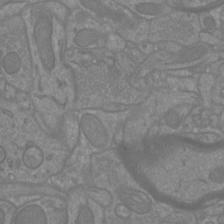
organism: Mouse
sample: Cortical neurons